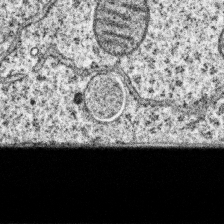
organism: Human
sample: HeLa cells